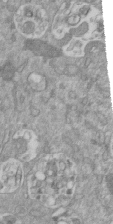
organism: Mouse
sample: ED-1 cell nuclei; centrioles